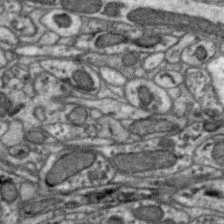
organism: Zebra finch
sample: Brain